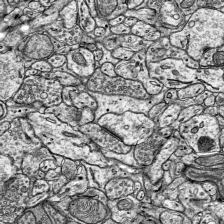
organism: Mouse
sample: Visual Cortex